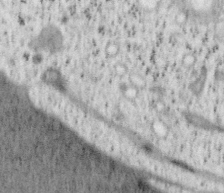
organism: Mouse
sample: OT-I killer T cells with ID8 ovarian cancer cells